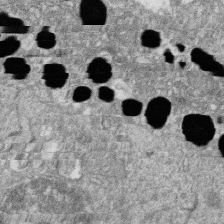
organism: Zebrafish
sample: Cilia; retinal pigment epithelium